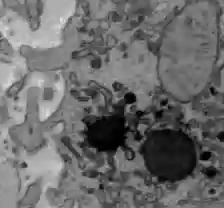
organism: C57BL Mouse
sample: Liver